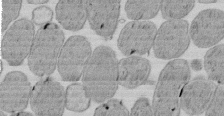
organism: E. coli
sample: Bacterial nucleoid